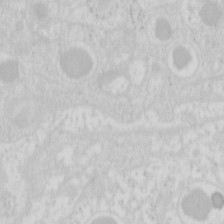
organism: Mouse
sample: Pancreas